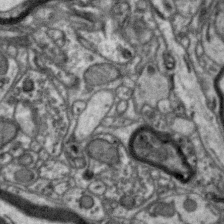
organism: Zebra finch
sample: Brain